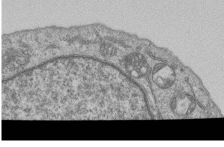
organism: Human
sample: MDA-MB-231 cells